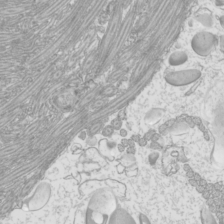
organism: Mouse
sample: Cilia; mouse epididymis